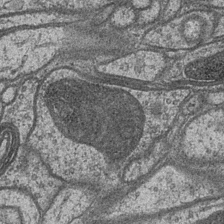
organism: Drosophila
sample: Optic medulla